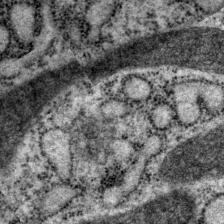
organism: P. pacificus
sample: Pharynx